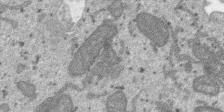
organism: Human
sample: Lung epithelial cells infected with SARS-CoV-2